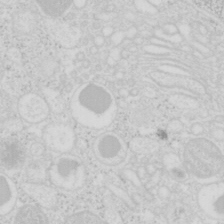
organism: Mouse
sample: Pancreas